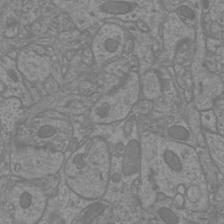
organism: Mouse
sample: Cortical neurons